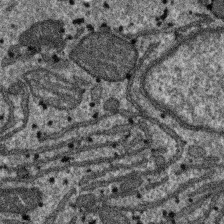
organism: Human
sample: Lung epithelial cells infected with SARS-CoV-2